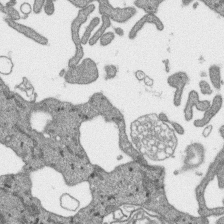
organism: Human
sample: Lung epithelial cells infected with SARS-CoV-2